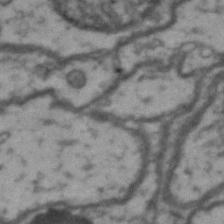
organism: Drosophila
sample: Brain